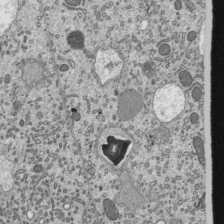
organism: Mouse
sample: Mouse epididymis efferent ductule cilia